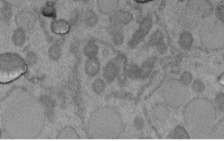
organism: C. elegans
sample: C. elegans embryo early stage